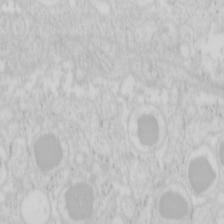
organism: Mouse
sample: Pancreas